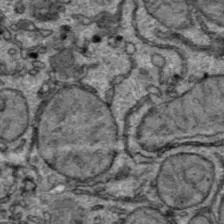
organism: C57BL Mouse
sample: Liver